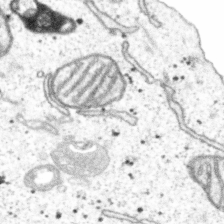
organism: Human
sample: HeLa cells